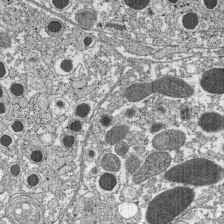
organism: C57BL Mouse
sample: Pancreatic islet